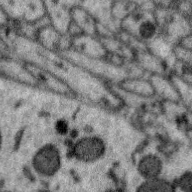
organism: Zebra finch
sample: Brain